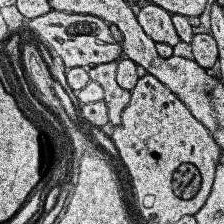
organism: Human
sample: Temporal Lobe